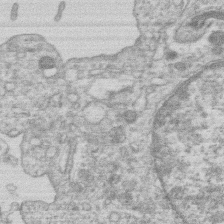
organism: Human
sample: Macrophage cells